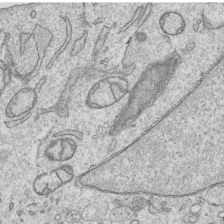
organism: Human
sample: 1205lu cells